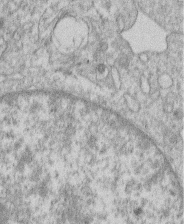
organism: Human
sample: Macrophage cells